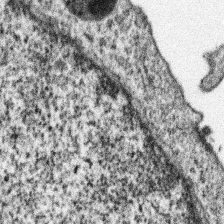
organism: Human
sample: HeLa cells